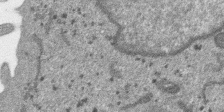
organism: Human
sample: Lung epithelial cells infected with SARS-CoV-2